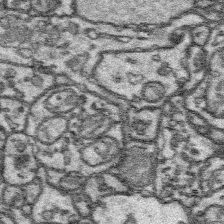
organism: Platynereis dumerilii